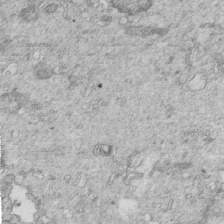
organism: Mouse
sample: Multiciliated cells